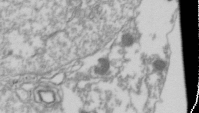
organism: Drosophila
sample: Cell division; meiosis; drosophila spermatocytes